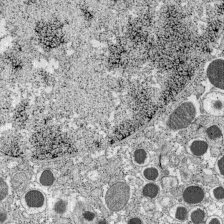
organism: C57BL Mouse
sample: Pancreatic islet